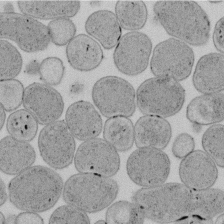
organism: E. coli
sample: Bacterial nucleoid